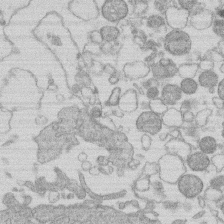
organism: Human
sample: Macrophage cells